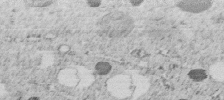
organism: C. elegans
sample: C. elegans embryo early stage